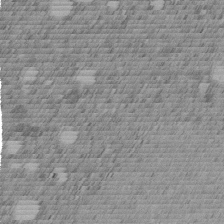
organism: C. elegans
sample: C. elegans embryo early stage